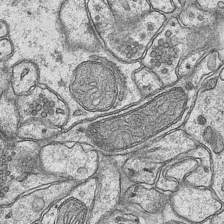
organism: Mouse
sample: CA1 Hippocampus